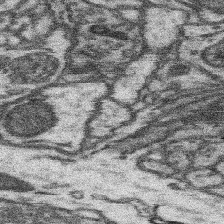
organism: Mouse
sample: Somatosensory cortex neuropil